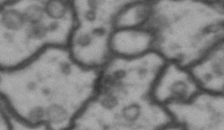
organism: Drosophila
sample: Brain